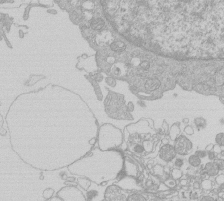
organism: Human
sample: Macrophage cells